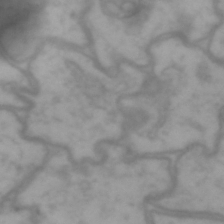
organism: Drosophila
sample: Brain